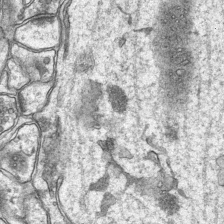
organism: Mouse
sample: CA1 Hippocampus